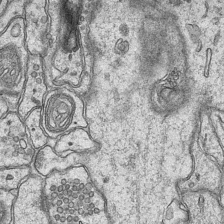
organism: Mouse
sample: CA1 Hippocampus